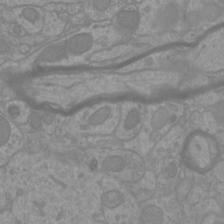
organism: Mouse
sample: Cortical neurons